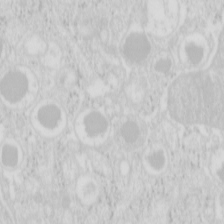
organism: Mouse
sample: Pancreas